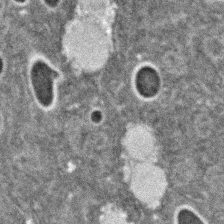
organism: C. elegans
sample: C. elegans embryo